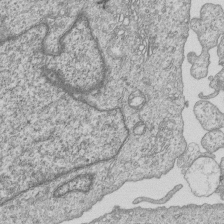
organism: Human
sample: MDA-MB-231 cells